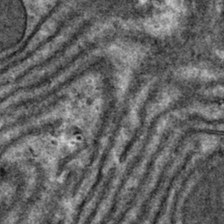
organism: Mouse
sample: Mouse hepatocytes